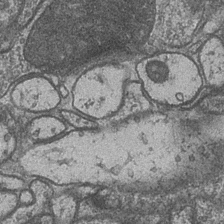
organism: Drosophila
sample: Optic medulla